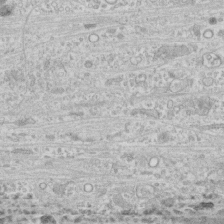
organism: Human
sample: CRL-1474